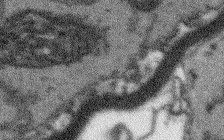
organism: Arabidopsis thaliana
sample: Root tip